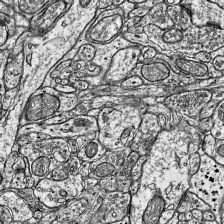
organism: Mouse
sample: Visual Cortex